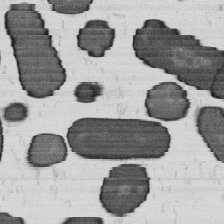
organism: B. subtilis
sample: Bacterial spore